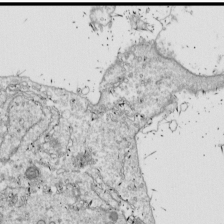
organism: Drosophila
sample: Cell division; meiosis; drosophila spermatocytes